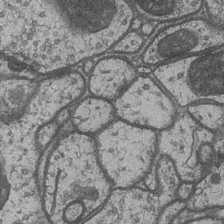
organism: Drosophila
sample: Optic medulla